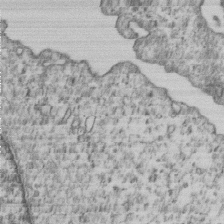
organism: Human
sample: MDA-MB-231 cells